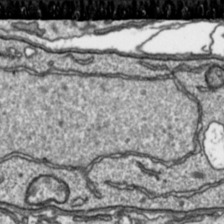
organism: Toxoplasma gondii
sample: Parasites in a vacuole inside a host cell